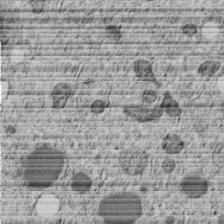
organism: C. elegans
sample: C. elegans embryo early stage